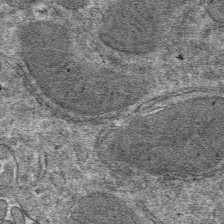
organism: Mouse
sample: Mouse hepatocytes